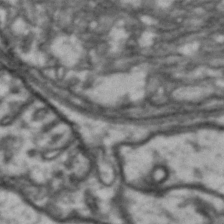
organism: Drosophila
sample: Brain